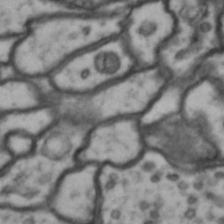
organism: Drosophila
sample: Brain